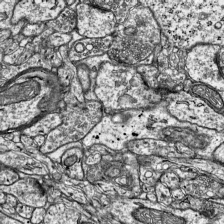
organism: Mouse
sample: Visual Cortex